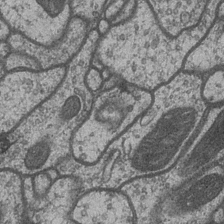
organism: Drosophila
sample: Optic medulla